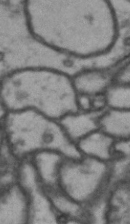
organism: Drosophila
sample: Brain